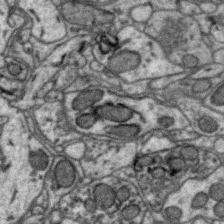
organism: Zebra finch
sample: Brain